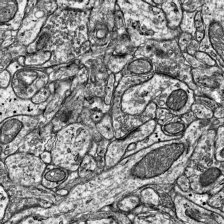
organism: Mouse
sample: Visual Cortex